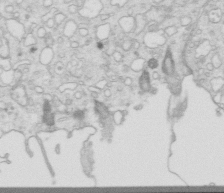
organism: Mouse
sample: Multiciliated cells